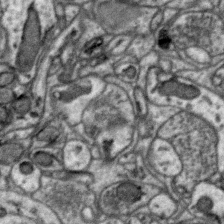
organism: Zebra finch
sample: Brain